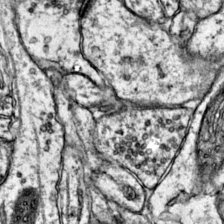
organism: Mouse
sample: Primary visual cortex